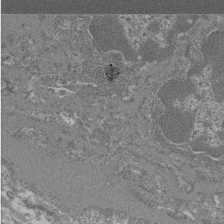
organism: Mouse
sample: Glomerulus